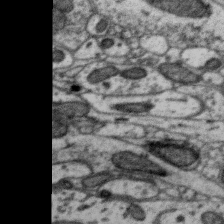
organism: Zebra finch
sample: Brain